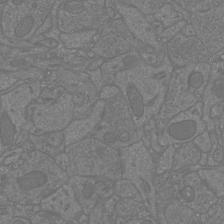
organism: Mouse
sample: Cortical neurons